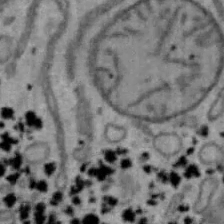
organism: Mouse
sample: Liver